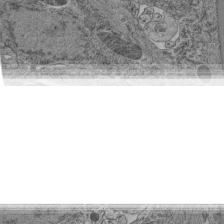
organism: C. elegans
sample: C. elegans pharynx